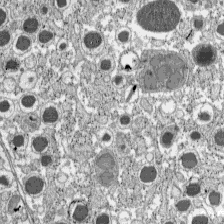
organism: C57BL Mouse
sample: Pancreatic islet